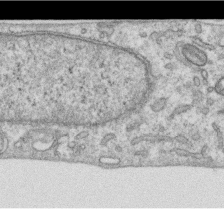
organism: Human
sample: Centriole in RPE cells